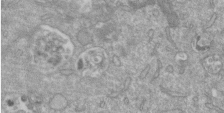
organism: Mouse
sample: ED-1 cell nuclei; centrioles